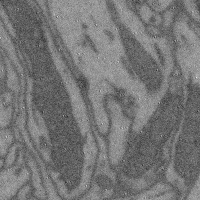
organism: Mouse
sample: Cerebral cortex